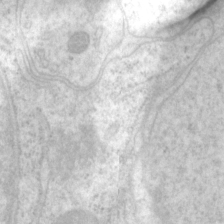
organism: P. pacificus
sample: Pharynx